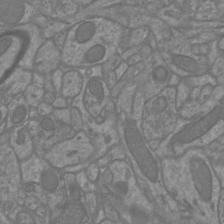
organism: Mouse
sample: Cortical neurons